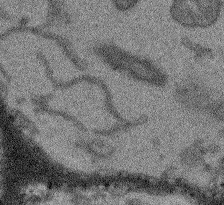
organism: Arabidopsis thaliana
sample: Root tip